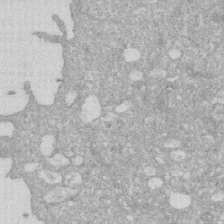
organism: Human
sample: HIV infected U937 cells